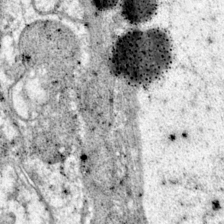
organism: Mouse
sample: Primary visual cortex